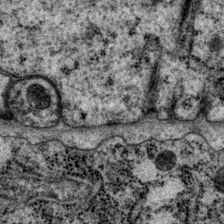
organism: P. pacificus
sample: Pharynx